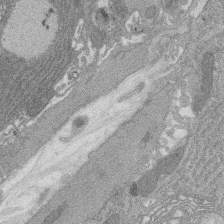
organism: Rat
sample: Salivary granule